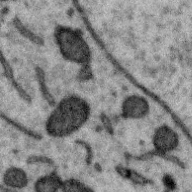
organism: Zebra finch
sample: Brain